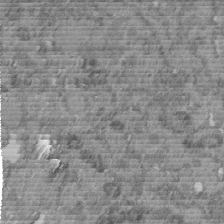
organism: C. elegans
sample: C. elegans embryo early stage